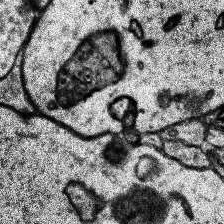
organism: Human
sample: Temporal Lobe